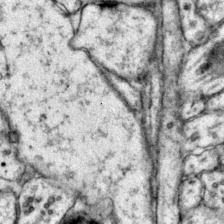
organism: Mouse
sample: Primary visual cortex